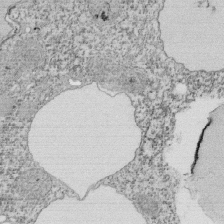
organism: Tetrahymena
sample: Cilia in tetrahymena